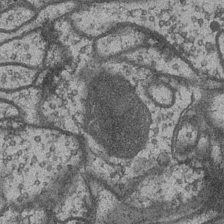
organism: Drosophila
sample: Optic medulla